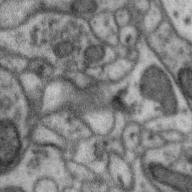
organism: Zebra finch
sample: Brain